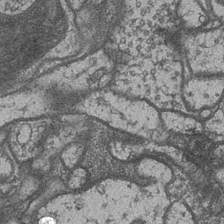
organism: Drosophila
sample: Optic medulla